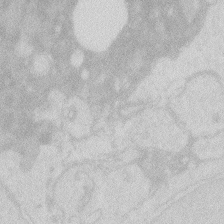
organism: Zebrafish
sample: Macrophage